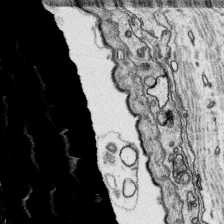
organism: Platynereis dumerilii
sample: Parapodia